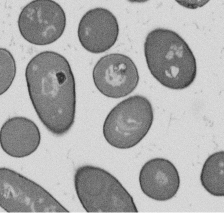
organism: B. subtilis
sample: Bacterial spore